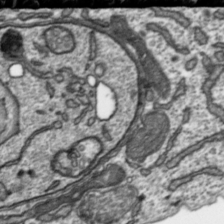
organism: Toxoplasma gondii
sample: Parasites in a vacuole inside a host cell